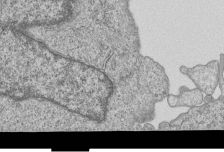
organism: Human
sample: MDA-MB-231 cells